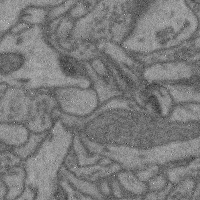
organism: Mouse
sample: Cerebral cortex